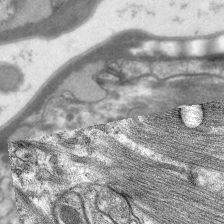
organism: C. elegans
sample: Pharynx